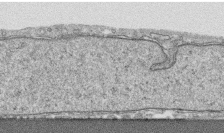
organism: Human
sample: CRL-1474